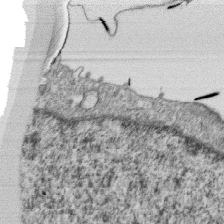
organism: African green monkey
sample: Vero E6 cells infected with SARS-CoV-2